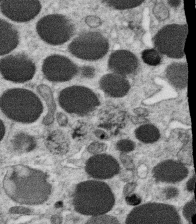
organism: C. elegans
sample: C. elegans oocyte; sperm cells